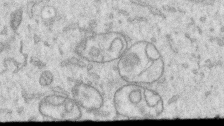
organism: Human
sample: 1205lu cells